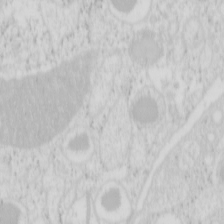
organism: Mouse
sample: Pancreas